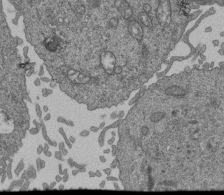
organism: Human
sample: Retinal organoid Rod and Cone cells